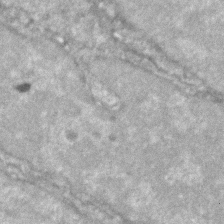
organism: Zebrafish